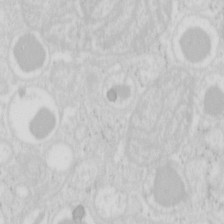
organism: Mouse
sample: Pancreas